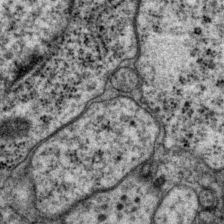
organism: P. pacificus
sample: Pharynx